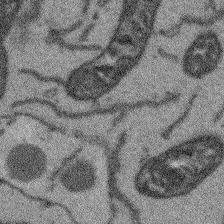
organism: Arabidopsis thaliana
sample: Root tip